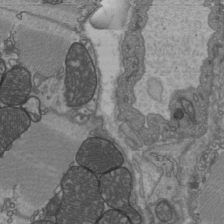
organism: C57BL Mouse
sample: Heart